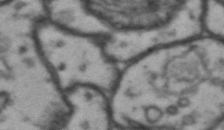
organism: Drosophila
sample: Brain